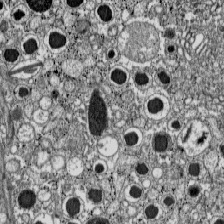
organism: C57BL Mouse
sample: Pancreatic islet